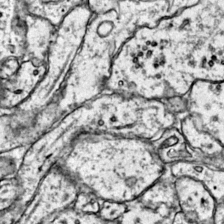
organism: Mouse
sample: Primary visual cortex